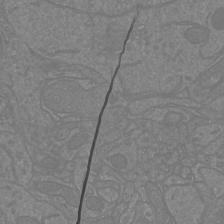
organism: Mouse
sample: Cortical neurons